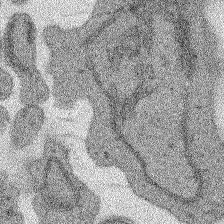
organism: Human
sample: HeLa cells